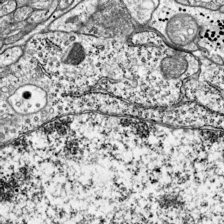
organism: Mouse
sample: Visual Cortex